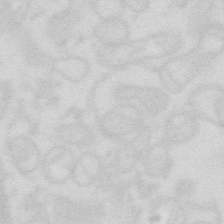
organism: Human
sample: HeLa cells